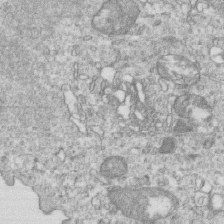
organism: Mouse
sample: Activated OT-1 CD8+ T cells